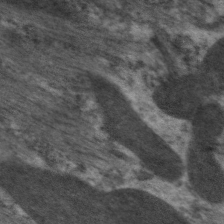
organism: C. elegans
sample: Pharynx